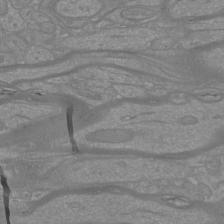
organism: Mouse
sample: Cortical neurons